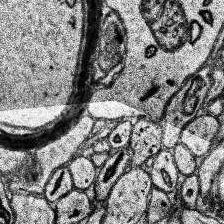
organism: Human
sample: Temporal Lobe